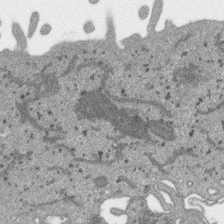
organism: Human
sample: Lung epithelial cells infected with SARS-CoV-2